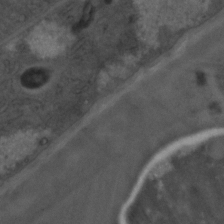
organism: C. elegans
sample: C. elegans embryo